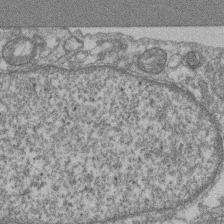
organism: Mouse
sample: T cell stromal cell synapse